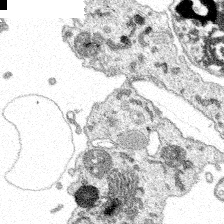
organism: Spongilla lacustris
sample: Multiple